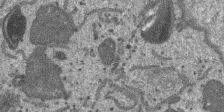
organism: Human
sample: Lung epithelial cells infected with SARS-CoV-2